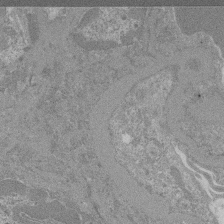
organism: Mouse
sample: Glomerulus